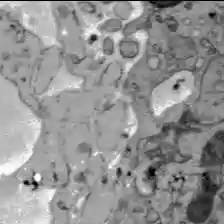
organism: C57BL Mouse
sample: Liver